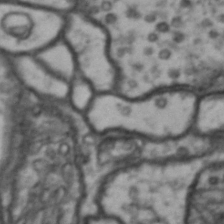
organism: Drosophila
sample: Brain